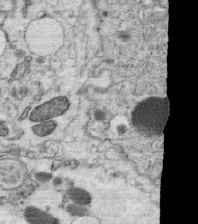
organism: C. elegans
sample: C. elegans oocyte; sperm cells